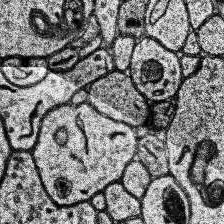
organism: Human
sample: Temporal Lobe